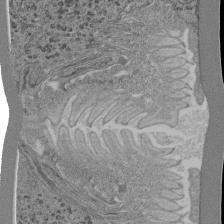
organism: C. elegans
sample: C. elegans pharynx